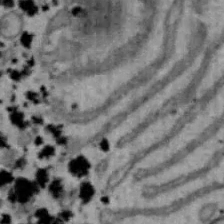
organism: Mouse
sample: Liver